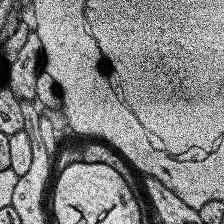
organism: Human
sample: Temporal Lobe